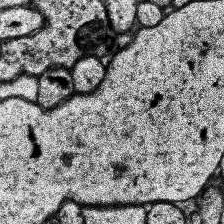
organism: Human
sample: Temporal Lobe